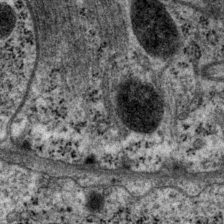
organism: P. pacificus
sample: Pharynx